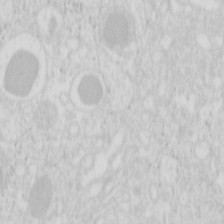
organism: Mouse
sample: Pancreas